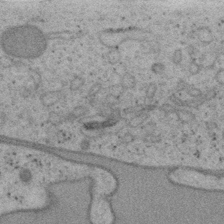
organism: Human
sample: HeLa cells